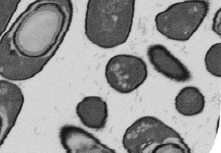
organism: B. subtilis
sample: Bacterial spore